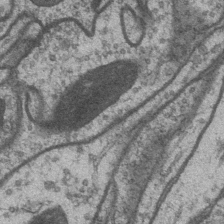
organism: Drosophila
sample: Optic medulla